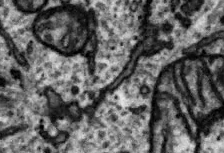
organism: Human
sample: HeLa cells